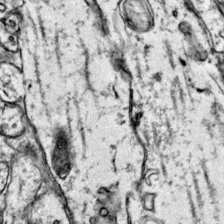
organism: Mouse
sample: Primary visual cortex